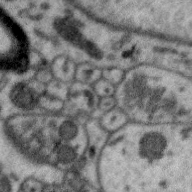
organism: Zebra finch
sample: Brain